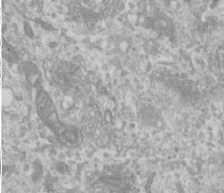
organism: Human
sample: Cilia; basal body in RPE cells